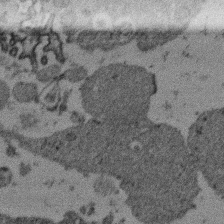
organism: Mouse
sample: Dividing mouse embryo 1 cell stage